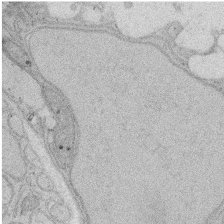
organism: Rat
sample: Salivary granule